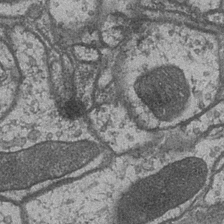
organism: Drosophila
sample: Optic medulla